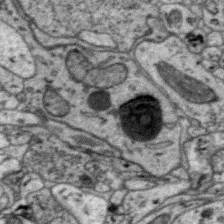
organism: Zebra finch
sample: Brain